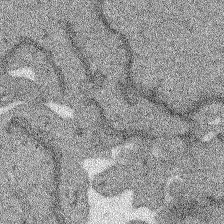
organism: Human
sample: HeLa cells